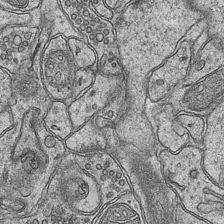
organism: Mouse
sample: CA1 Hippocampus